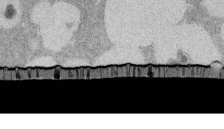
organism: Rat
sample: Salivary granule